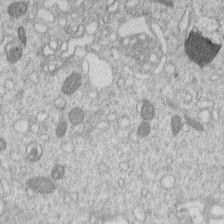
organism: Human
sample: Macrophage cells